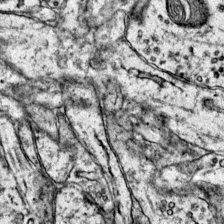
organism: Mouse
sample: Primary visual cortex